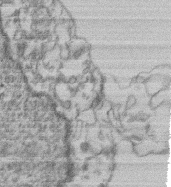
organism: Mouse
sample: T cell stromal cell synapse